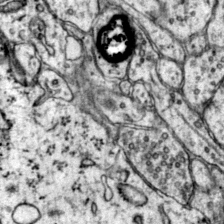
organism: Mouse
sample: Primary visual cortex